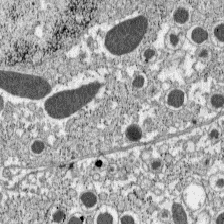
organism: C57BL Mouse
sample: Pancreatic islet